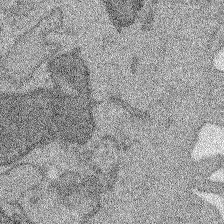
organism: Human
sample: HeLa cells